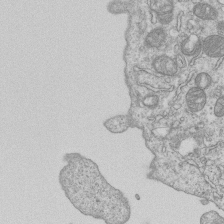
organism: Human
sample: MDA-MB-231 cells